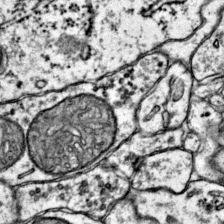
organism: Mouse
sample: Primary visual cortex